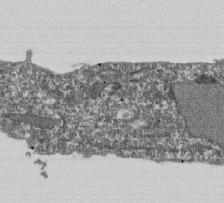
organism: Dictyostelium discoideum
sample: Dictyostelium multivesicular bodies